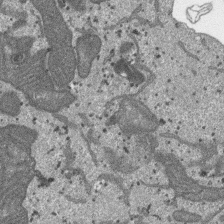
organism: Human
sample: Lung epithelial cells infected with SARS-CoV-2